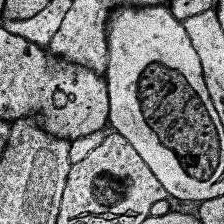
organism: Human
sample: Temporal Lobe